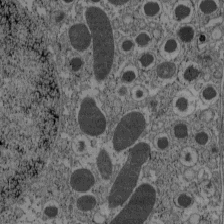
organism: C57BL Mouse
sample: Pancreatic islet